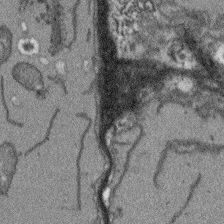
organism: Arabidopsis thaliana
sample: Root tip